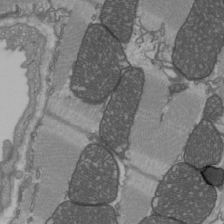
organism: C57BL Mouse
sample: Heart